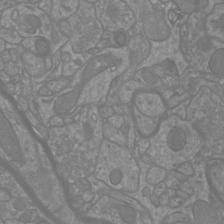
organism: Mouse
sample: Cortical neurons